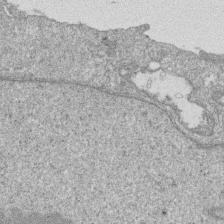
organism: Human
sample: HeLa cell HIV synapse